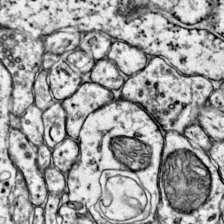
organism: Mouse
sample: Primary visual cortex